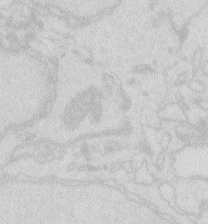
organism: Zebrafish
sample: Macrophage